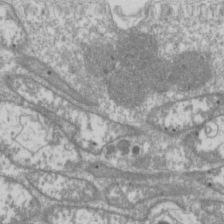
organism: Drosophila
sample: Cell division; meiosis; drosophila spermatocytes